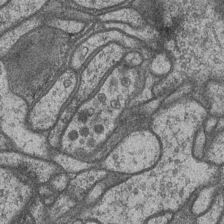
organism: Drosophila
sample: Optic medulla